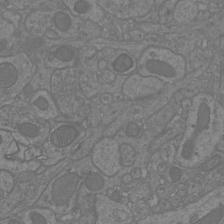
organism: Mouse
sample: Cortical neurons